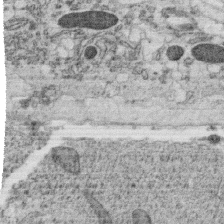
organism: C. elegans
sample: C. elegans oocyte; sperm cells